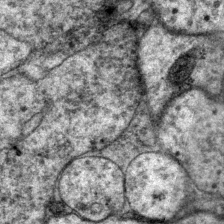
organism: P. pacificus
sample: Pharynx